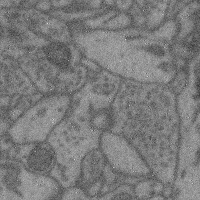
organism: Mouse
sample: Cerebral cortex